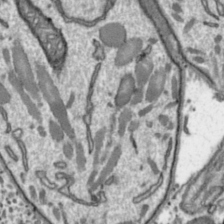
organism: Toxoplasma gondii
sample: Parasites in a vacuole inside a host cell